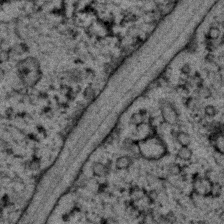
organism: C. elegans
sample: C. elegans embryo